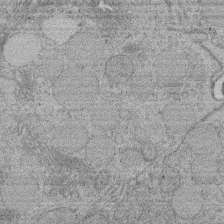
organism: Rat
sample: Salivary granule